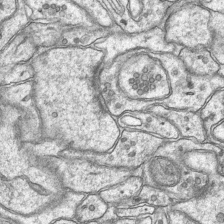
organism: Mouse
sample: CA1 Hippocampus